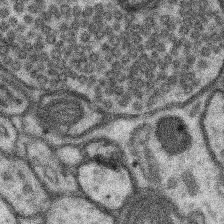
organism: Mouse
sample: Somatosensory cortex neuropil